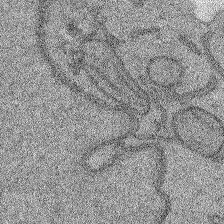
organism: Human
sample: HeLa cells